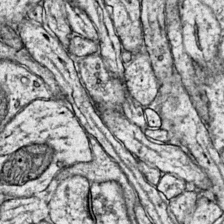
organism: Mouse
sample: Primary visual cortex